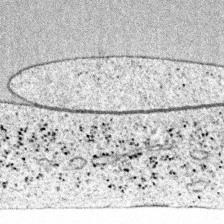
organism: Human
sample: HeLa cells